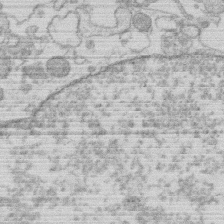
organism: Human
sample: Macrophage cells